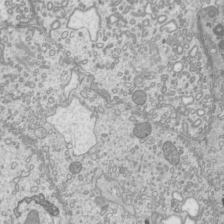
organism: Mouse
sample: Cilia; mouse epididymis